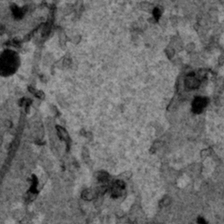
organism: Human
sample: Mitochondria in HCT116 cells